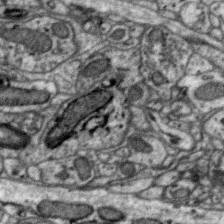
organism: Zebra finch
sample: Brain